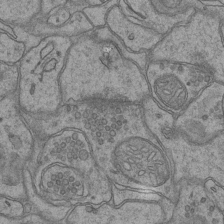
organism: Mouse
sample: CA1 Hippocampus